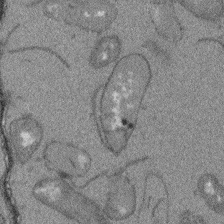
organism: Arabidopsis thaliana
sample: Root tip